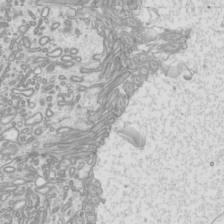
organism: Mouse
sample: Cilia; mouse epididymis